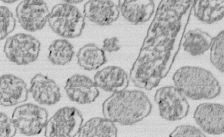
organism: E. coli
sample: Bacterial nucleoid